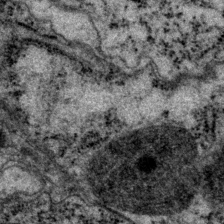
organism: P. pacificus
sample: Pharynx